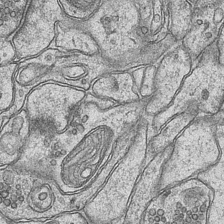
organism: Mouse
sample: CA1 Hippocampus